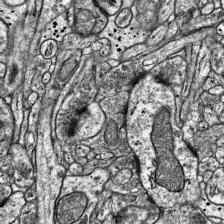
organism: Mouse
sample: Visual Cortex